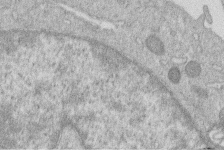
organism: Human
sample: Macrophage cells